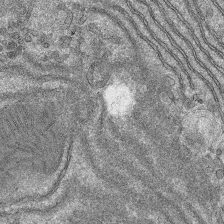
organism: Mouse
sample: Mouse hepatocytes